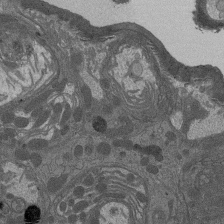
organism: Drosophila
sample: Antenna